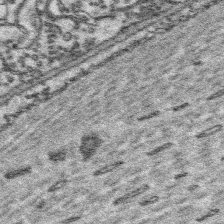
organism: Platynereis dumerilii